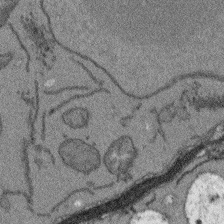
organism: Arabidopsis thaliana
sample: Root tip